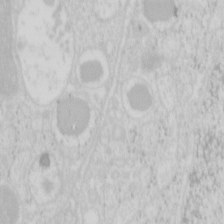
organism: Mouse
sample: Pancreas